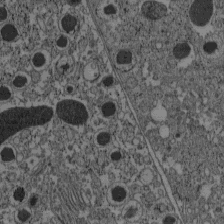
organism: C57BL Mouse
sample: Pancreatic islet